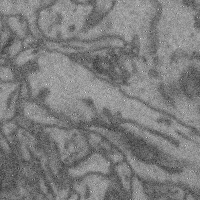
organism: Mouse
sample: Cerebral cortex